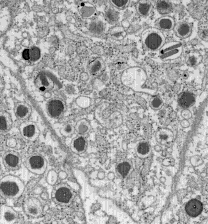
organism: C57BL Mouse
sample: Pancreatic islet